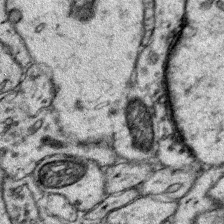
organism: Mouse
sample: Primary visual cortex